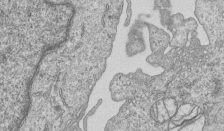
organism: Human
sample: MDA-MB-231 cells